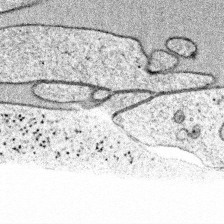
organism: Human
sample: HeLa cells